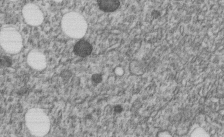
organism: C. elegans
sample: C. elegans embryo early stage